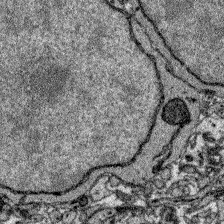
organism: Zebrafish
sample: Larval olfactory bulb